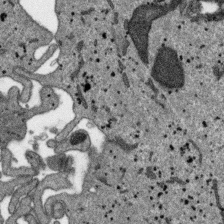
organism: Human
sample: Lung epithelial cells, uninfected (mock) control